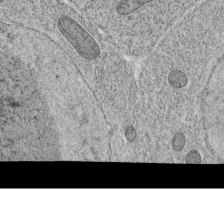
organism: C. elegans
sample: C. elegans oocyte; sperm cells